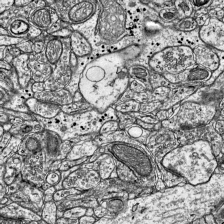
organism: Mouse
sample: Visual Cortex